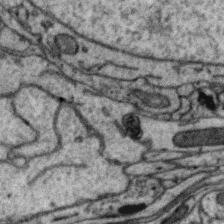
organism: Zebra finch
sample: Brain